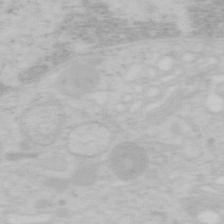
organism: Mouse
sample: OT-I killer T cells with ID8 ovarian cancer cells